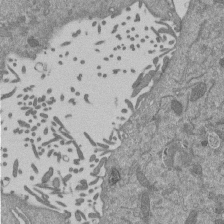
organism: Mouse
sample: ED-1 cell nuclei; centrioles